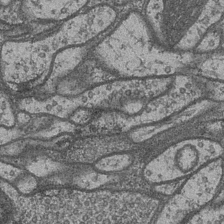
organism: Drosophila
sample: Optic medulla